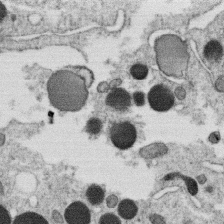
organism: C. elegans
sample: C. elegans oocyte; sperm cells